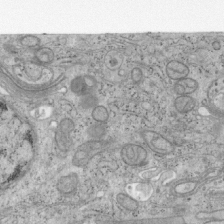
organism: Human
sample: HeLa cells